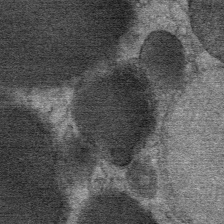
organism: Mouse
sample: Mouse Salivary gland